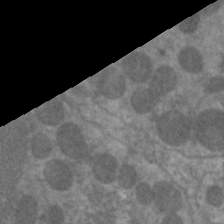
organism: C. elegans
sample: Pharynx